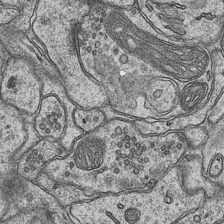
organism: Mouse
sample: CA1 Hippocampus